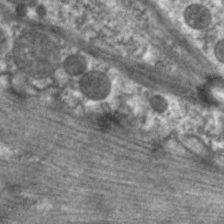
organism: C. elegans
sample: Pharynx